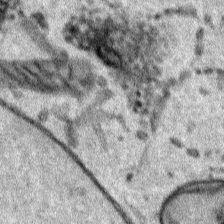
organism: Human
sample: Mitochondria in HCT116 cells